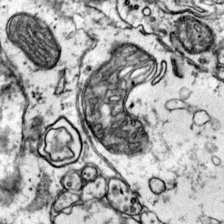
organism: Mouse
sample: Primary visual cortex